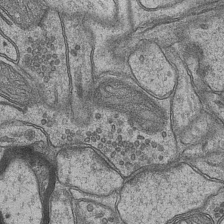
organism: Mouse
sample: CA1 Hippocampus